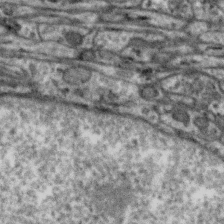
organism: Zebra finch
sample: Brain